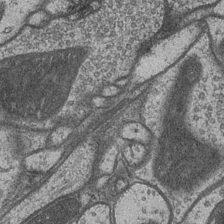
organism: Drosophila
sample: Optic medulla